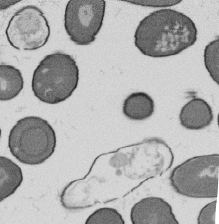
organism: B. subtilis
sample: Bacterial spore